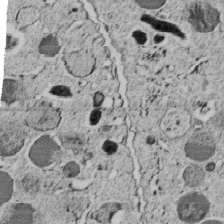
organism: C. elegans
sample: C. elegans embryo early stage